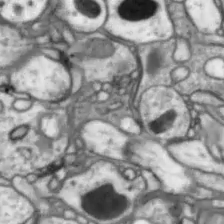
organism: Drosophila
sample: Optic lobe